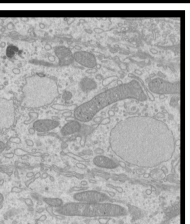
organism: Mouse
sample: Cilia; mouse epididymis